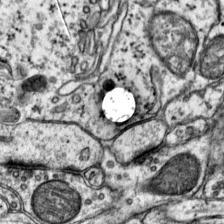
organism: Mouse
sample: Primary visual cortex